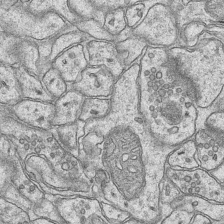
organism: Mouse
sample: CA1 Hippocampus